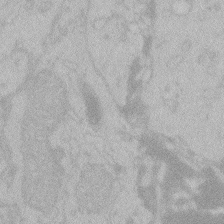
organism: Zebrafish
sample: Macrophage infected with Toxoplasma gondii